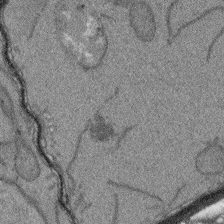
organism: Arabidopsis thaliana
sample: Root tip